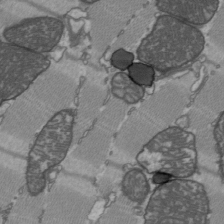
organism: C57BL Mouse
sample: Heart